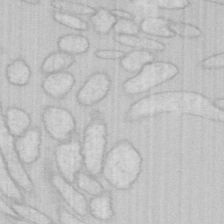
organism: Human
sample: HeLa cells